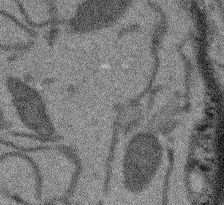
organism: Arabidopsis thaliana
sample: Root tip